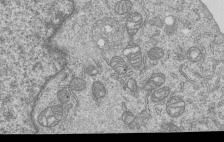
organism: Human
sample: MDA-MB-231 cells